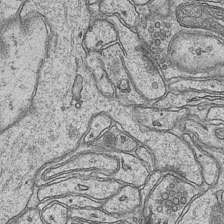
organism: Mouse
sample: CA1 Hippocampus